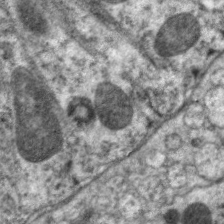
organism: C. elegans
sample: Pharynx